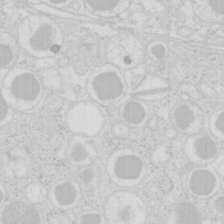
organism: Mouse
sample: Pancreas